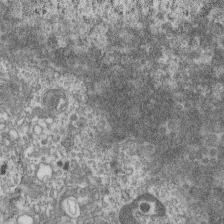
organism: Mouse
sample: Centriole in ependymal cells